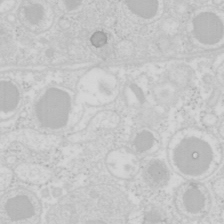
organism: Mouse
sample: Pancreas